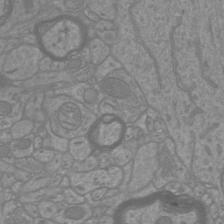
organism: Mouse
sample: Cortical neurons